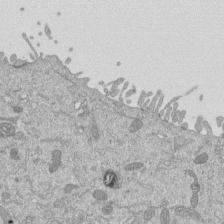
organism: Mouse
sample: ED-1 cell nuclei; centrioles